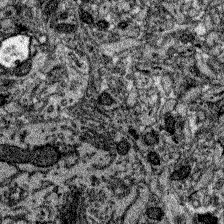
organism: Zebrafish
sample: Larval olfactory bulb